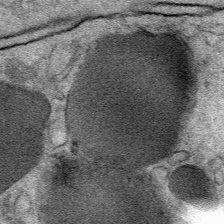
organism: Mouse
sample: Mouse Salivary gland